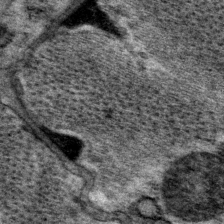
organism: P. pacificus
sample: Pharynx